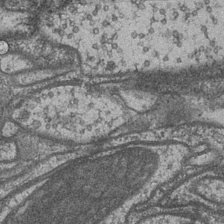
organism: Drosophila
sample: Optic medulla